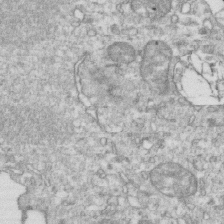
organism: Mouse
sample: Activated OT-1 CD8+ T cells